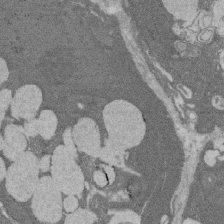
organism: Rat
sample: Salivary granule